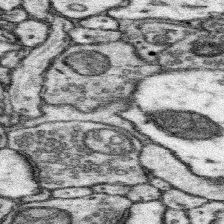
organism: Mouse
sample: Somatosensory cortex neuropil